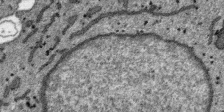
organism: Human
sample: Lung epithelial cells, uninfected (mock) control